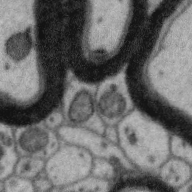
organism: Zebra finch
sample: Brain